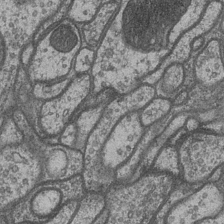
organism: Drosophila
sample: Optic medulla